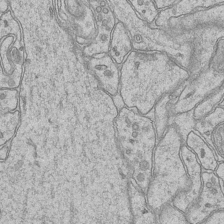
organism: Mouse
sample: CA1 Hippocampus